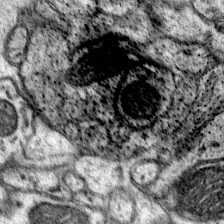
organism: Mouse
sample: Primary visual cortex